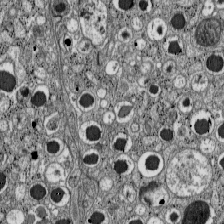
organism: C57BL Mouse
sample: Pancreatic islet